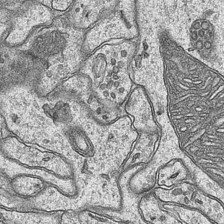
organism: Mouse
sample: CA1 Hippocampus